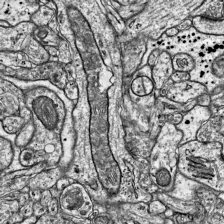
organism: Mouse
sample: Visual Cortex